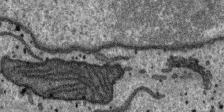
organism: Human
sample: Lung epithelial cells, uninfected (mock) control